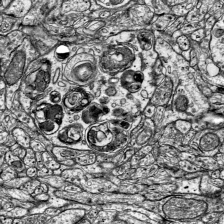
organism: Mouse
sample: Visual Cortex